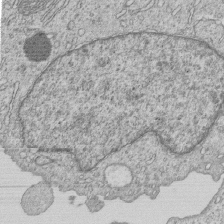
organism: Human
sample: MDA-MB-231 cells